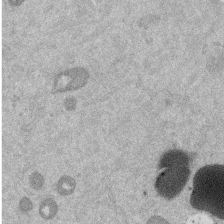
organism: Mouse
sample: Dividing mouse embryo 1 cell stage